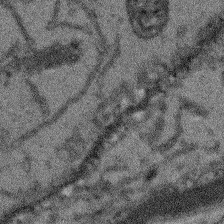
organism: Arabidopsis thaliana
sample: Root tip